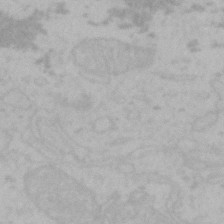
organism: Mouse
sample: Choroid plexus